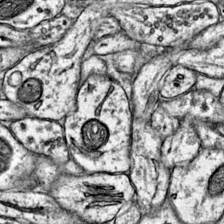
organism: Mouse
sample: Primary visual cortex